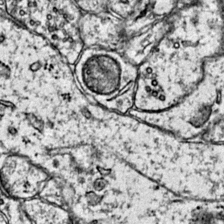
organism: Mouse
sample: Primary visual cortex